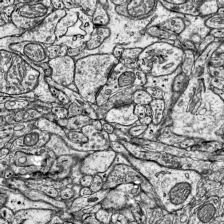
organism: Mouse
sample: Visual Cortex